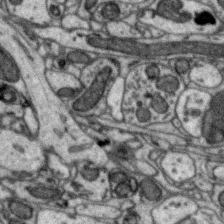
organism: Zebra finch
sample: Brain